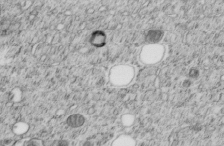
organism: C. elegans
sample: C. elegans embryo early stage